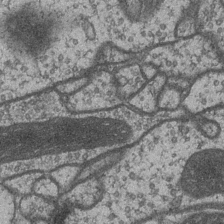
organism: Drosophila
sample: Optic medulla